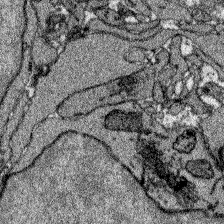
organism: Zebrafish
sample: Larval olfactory bulb